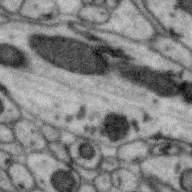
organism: Zebra finch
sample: Brain